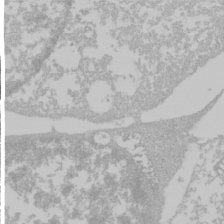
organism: Mouse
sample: Cancer cell death in ED-1 cells